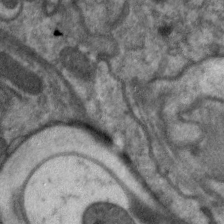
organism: C. elegans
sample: Pharynx